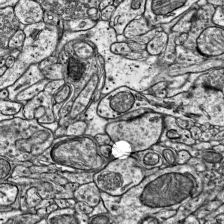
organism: Mouse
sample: Visual Cortex